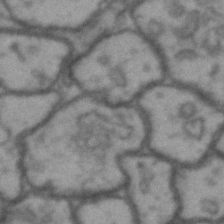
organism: Drosophila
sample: Brain